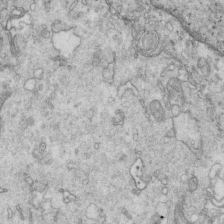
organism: Mouse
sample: Multiciliated cells